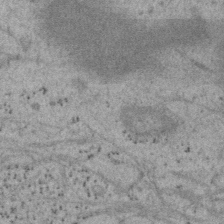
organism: Human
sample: HeLa cells